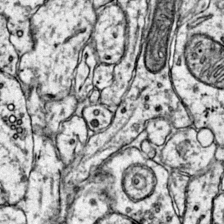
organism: Mouse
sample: Primary visual cortex